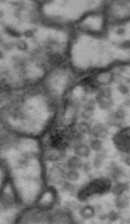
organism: Drosophila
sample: Brain